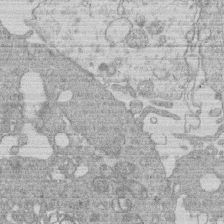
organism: Human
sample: Macrophage cells